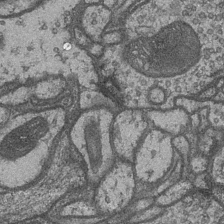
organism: Drosophila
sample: Optic medulla